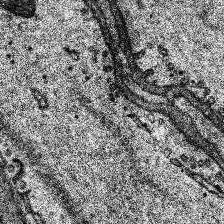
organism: Human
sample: Temporal Lobe